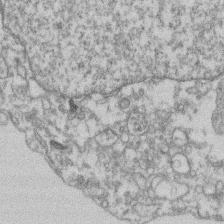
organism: Mouse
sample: T cell stromal cell synapse